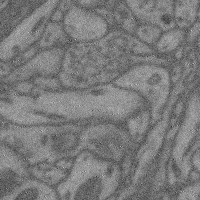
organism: Mouse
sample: Cerebral cortex